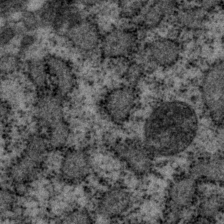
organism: P. pacificus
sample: Pharynx